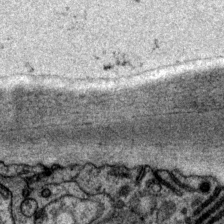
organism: P. pacificus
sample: Pharynx